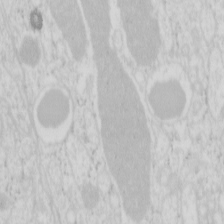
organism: Mouse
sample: Pancreas